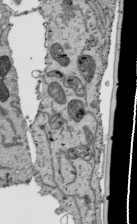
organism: Human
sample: Mitochondria in HCT116 cells